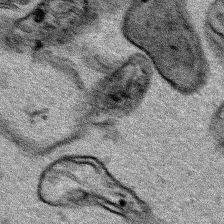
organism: Human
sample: Mitochondria in HCT116 cells